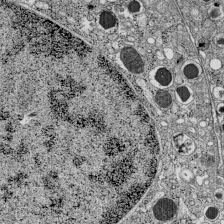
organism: C57BL Mouse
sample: Pancreatic islet